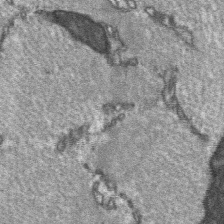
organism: C57BL Mouse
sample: Soleus